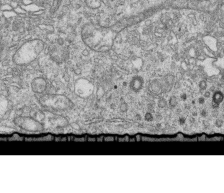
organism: Human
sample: HeLa cell HIV synapse